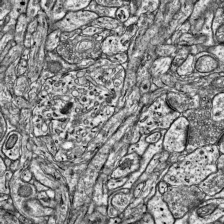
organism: Mouse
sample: Visual Cortex